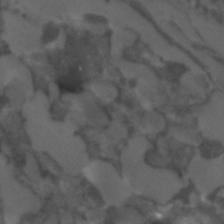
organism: C. elegans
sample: C. elegans embryo